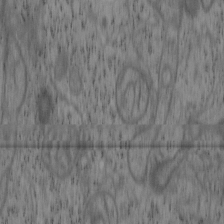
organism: Human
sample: HeLa cells